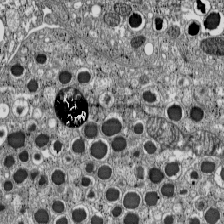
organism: C57BL Mouse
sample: Pancreatic islet